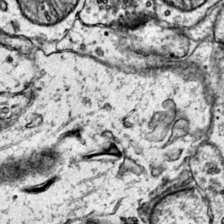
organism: Mouse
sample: Primary visual cortex